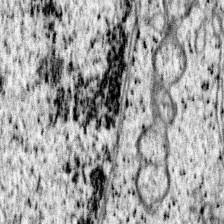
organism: Human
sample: HeLa cells